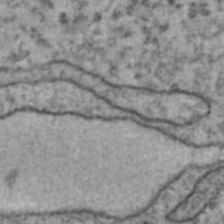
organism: Human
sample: Blood